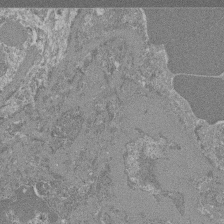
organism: Mouse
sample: Glomerulus